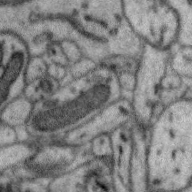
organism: Zebra finch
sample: Brain